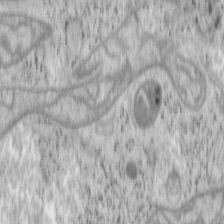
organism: Human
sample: HeLa cells